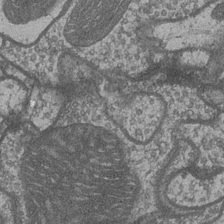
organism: Drosophila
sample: Optic medulla